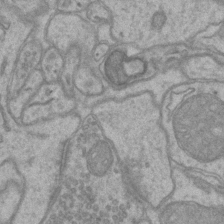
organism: Mouse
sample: CA1 Hippocampus